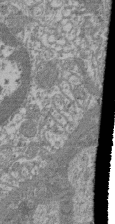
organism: Mouse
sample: Glomerulus